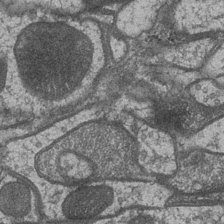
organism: Drosophila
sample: Optic medulla